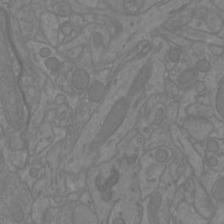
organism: Mouse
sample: Cortical neurons